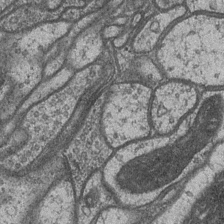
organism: Drosophila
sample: Optic medulla